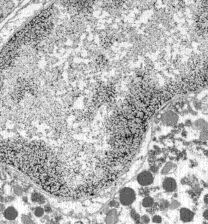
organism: C57BL Mouse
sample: Pancreatic islet